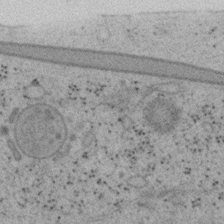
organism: Human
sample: HeLa cells